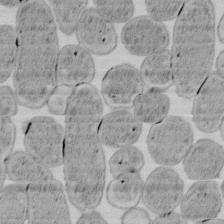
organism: E. coli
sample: Bacterial nucleoid